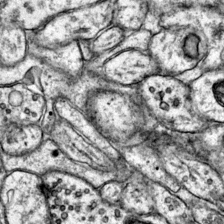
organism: Mouse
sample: Primary visual cortex